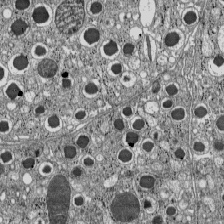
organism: C57BL Mouse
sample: Pancreatic islet